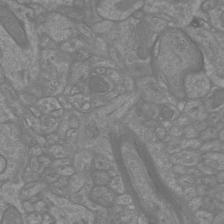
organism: Mouse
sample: Cortical neurons